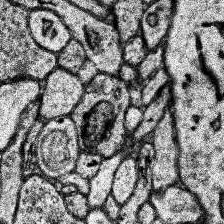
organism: Human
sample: Temporal Lobe